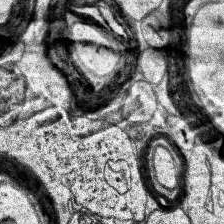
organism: Human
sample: Temporal Lobe